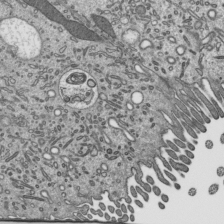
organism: Mouse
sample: Mouse epididymis efferent ductule cilia